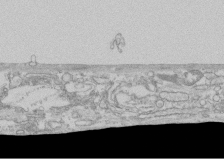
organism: Human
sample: CRL-1474